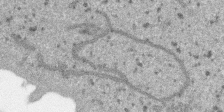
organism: Human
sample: Lung epithelial cells infected with SARS-CoV-2